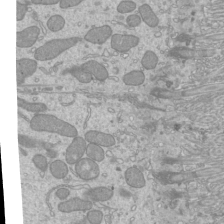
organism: Mouse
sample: Cilia; mouse epididymis